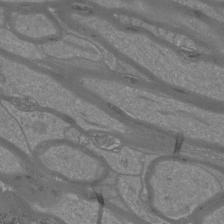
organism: Mouse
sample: Cortical neurons